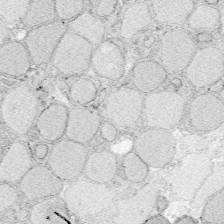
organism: Zebrafish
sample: Whole-Brain